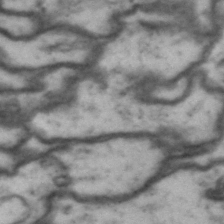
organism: Drosophila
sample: Brain